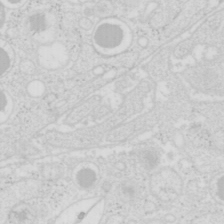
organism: Mouse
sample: Pancreas